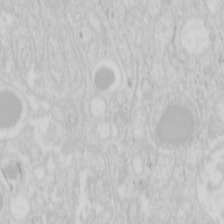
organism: Mouse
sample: Pancreas